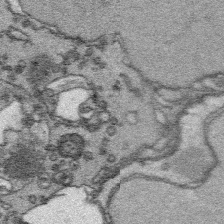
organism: Platynereis dumerilii